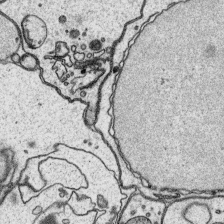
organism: Platynereis dumerilii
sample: Parapodia